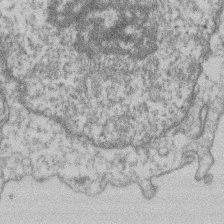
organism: Mouse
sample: T cell stromal cell synapse